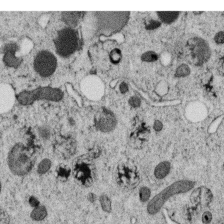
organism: C. elegans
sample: C. elegans oocyte; sperm cells